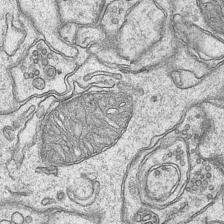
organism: Mouse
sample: CA1 Hippocampus